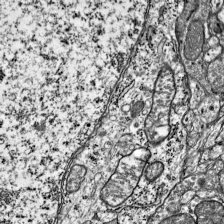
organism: Mouse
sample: Visual Cortex